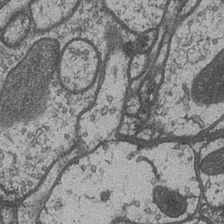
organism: Drosophila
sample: Optic medulla